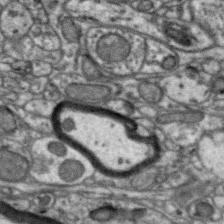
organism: Zebra finch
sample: Brain